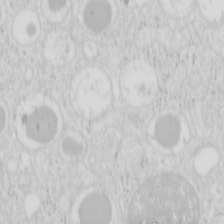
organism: Mouse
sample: Pancreas